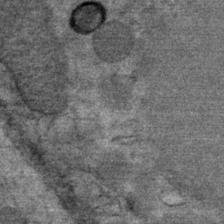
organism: Mouse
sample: Mouse Salivary gland